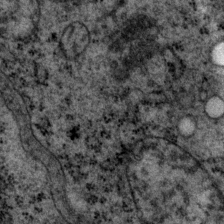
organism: P. pacificus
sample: Pharynx